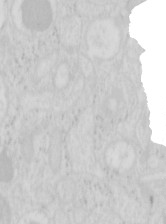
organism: Mouse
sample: Pancreas